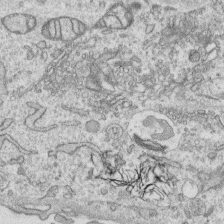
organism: Human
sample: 1205lu cells